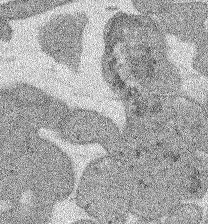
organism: Human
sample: HeLa cells